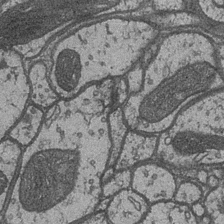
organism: Drosophila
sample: Optic medulla